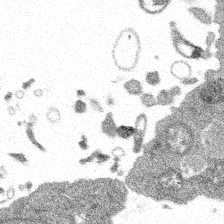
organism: Spongilla lacustris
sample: Multiple